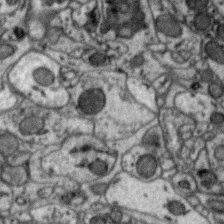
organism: Zebra finch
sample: Brain